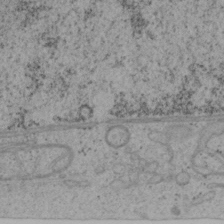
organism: Human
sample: HeLa cells